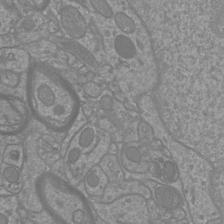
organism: Mouse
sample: Cortical neurons